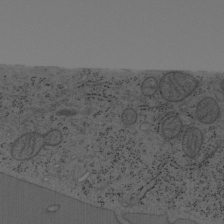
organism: Mouse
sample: OT-I killer T cells with ID8 ovarian cancer cells